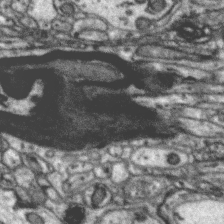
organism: Zebra finch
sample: Brain